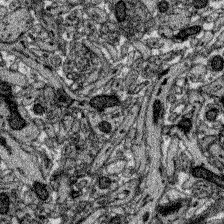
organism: Zebrafish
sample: Larval olfactory bulb